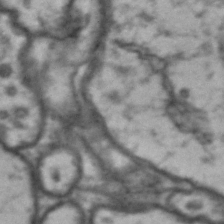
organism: Drosophila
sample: Brain